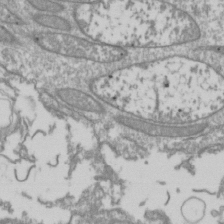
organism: Drosophila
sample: Cell division; meiosis; drosophila spermatocytes